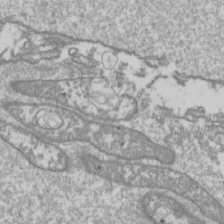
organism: Drosophila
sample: Cell division; meiosis; drosophila spermatocytes